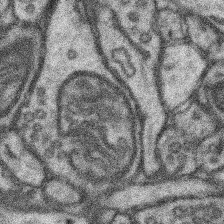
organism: Mouse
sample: Somatosensory cortex neuropil